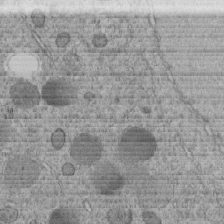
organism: C. elegans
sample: C. elegans embryo early stage